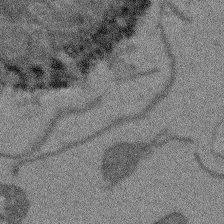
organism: Arabidopsis thaliana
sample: Root tip